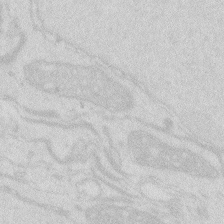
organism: Zebrafish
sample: Macrophage